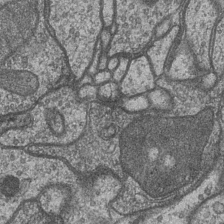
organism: Drosophila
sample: Optic medulla